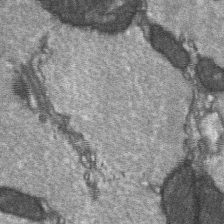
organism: C57BL Mouse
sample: Soleus